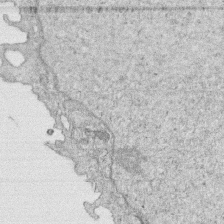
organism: Human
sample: HeLa cell HIV synapse